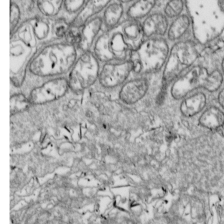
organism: Drosophila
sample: Cell division; meiosis; drosophila spermatocytes